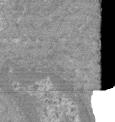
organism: Mouse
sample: Glomerulus